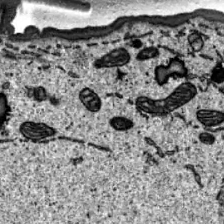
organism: Human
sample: HeLa cells